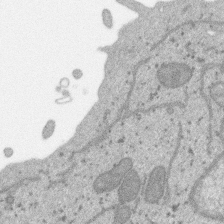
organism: Human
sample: Lung epithelial cells infected with SARS-CoV-2